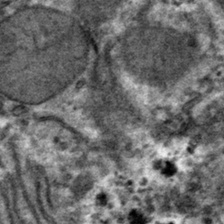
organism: Mouse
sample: Mouse hepatocytes